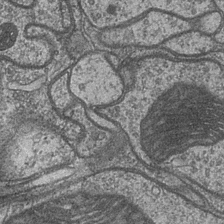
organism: Drosophila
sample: Optic medulla